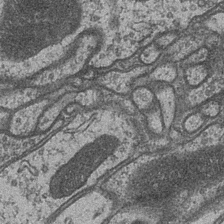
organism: Drosophila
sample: Optic medulla